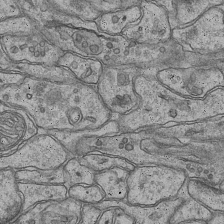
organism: Mouse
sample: CA1 Hippocampus